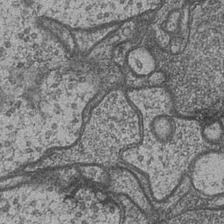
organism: Drosophila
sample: Optic medulla